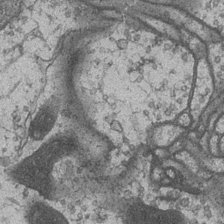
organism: Drosophila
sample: Optic medulla